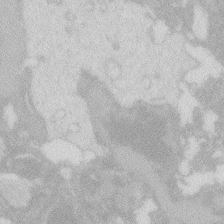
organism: Zebrafish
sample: Macrophage